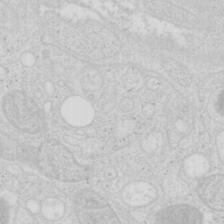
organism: Mouse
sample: Pancreas